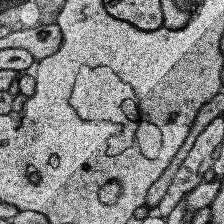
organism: Human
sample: Temporal Lobe